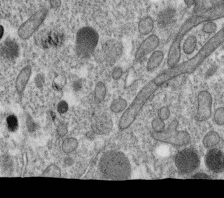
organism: C. elegans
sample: C. elegans oocyte; sperm cells